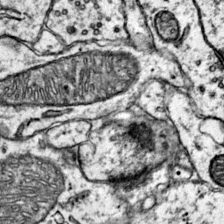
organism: Mouse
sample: Primary visual cortex